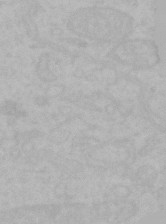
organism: Mouse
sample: Choroid plexus